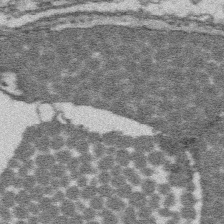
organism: Platynereis dumerilii